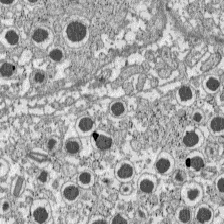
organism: C57BL Mouse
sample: Pancreatic islet